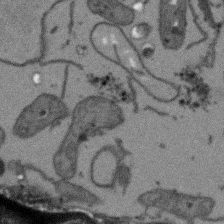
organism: Arabidopsis thaliana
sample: Root tip